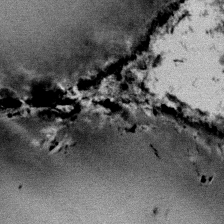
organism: Mouse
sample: Mouse Salivary gland